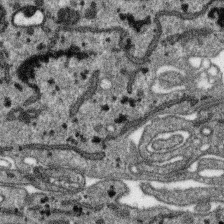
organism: Human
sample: Lung epithelial cells infected with SARS-CoV-2